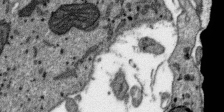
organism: Human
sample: Lung epithelial cells, uninfected (mock) control